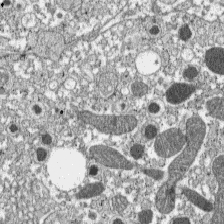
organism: C57BL Mouse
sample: Pancreatic islet